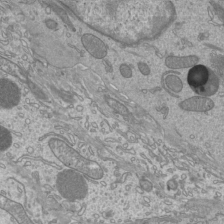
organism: Mouse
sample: Cilia; mouse epididymis